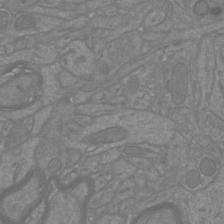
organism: Mouse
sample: Cortical neurons